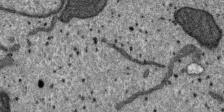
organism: Human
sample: Lung epithelial cells, uninfected (mock) control